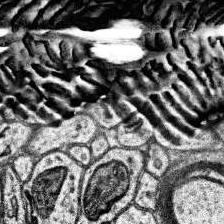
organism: Human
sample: Temporal Lobe